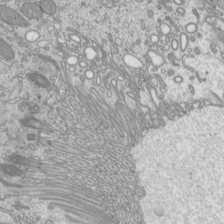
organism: Mouse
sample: Cilia; mouse epididymis